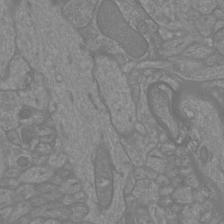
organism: Mouse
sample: Cortical neurons